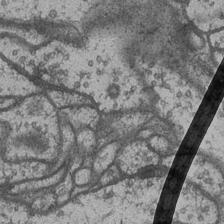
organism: Drosophila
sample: Optic medulla